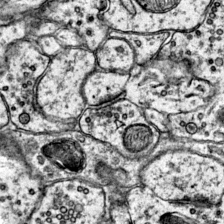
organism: Mouse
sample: Primary visual cortex